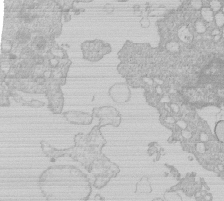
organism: Human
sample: Macrophage cells